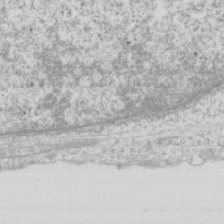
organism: Human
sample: Fibroblast cells